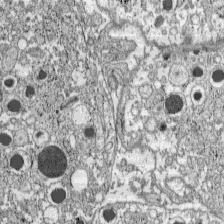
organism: C57BL Mouse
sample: Pancreatic islet